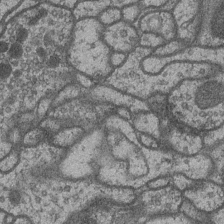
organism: Drosophila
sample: Optic medulla